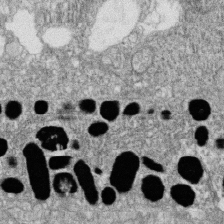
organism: Zebrafish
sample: Cilia; retinal pigment epithelium